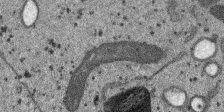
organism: Human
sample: Lung epithelial cells infected with SARS-CoV-2